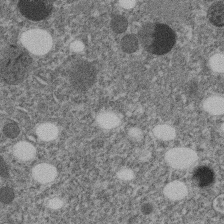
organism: C. elegans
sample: C. elegans embryo early stage